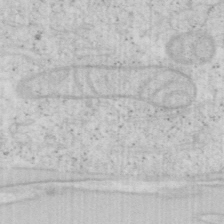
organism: Human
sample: HeLa cells